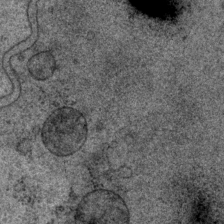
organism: P. pacificus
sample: Pharynx